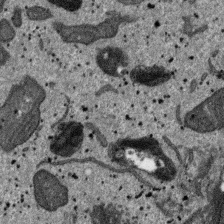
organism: Human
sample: Lung epithelial cells, uninfected (mock) control